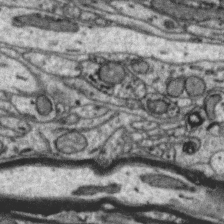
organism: Zebra finch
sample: Brain